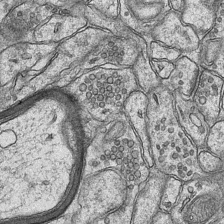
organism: Mouse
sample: CA1 Hippocampus